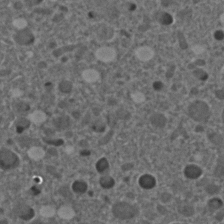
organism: C. elegans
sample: C. elegans embryo